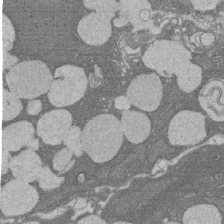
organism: Rat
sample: Salivary granule